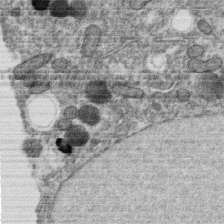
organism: C. elegans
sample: C. elegans oocyte; sperm cells